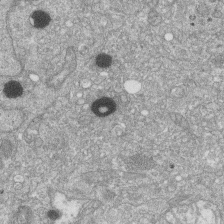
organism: Human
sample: HeLa cell HIV synapse